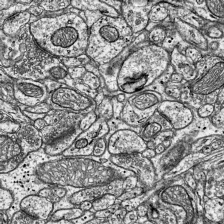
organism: Mouse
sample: Visual Cortex